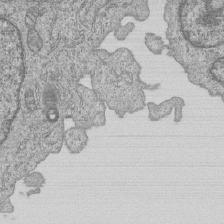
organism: Human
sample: MDA-MB-231 cells